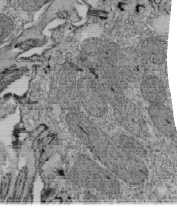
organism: Tetrahymena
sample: Cilia in tetrahymena